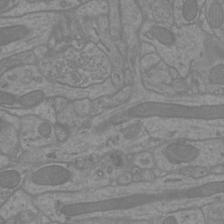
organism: Mouse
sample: Cortical neurons